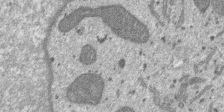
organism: Human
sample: Lung epithelial cells infected with SARS-CoV-2